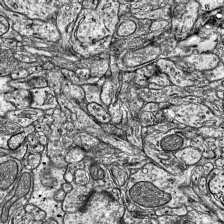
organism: Mouse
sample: Visual Cortex